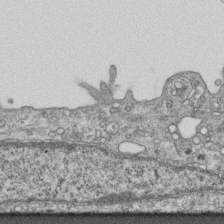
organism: Mouse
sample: Centriole in ependymal cells